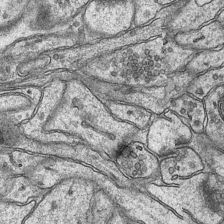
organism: Mouse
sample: CA1 Hippocampus